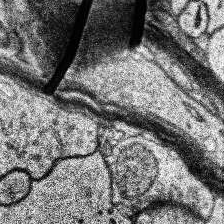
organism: Human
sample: Temporal Lobe